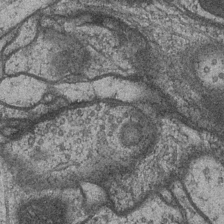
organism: Drosophila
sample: Optic medulla